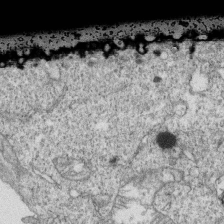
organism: Human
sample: HeLa cell HIV synapse